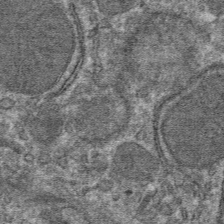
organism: Mouse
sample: Mouse hepatocytes